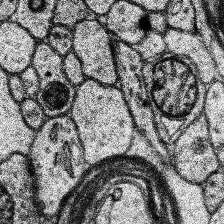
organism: Human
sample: Temporal Lobe